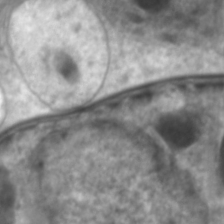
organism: C. elegans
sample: Pharynx